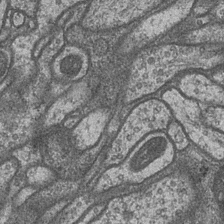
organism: Drosophila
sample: Optic medulla